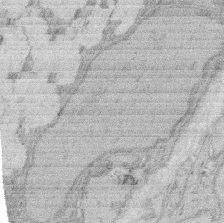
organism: Rat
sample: Salivary granule